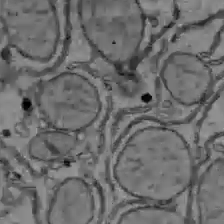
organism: C57BL Mouse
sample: Liver